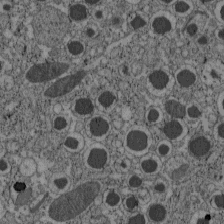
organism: C57BL Mouse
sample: Pancreatic islet